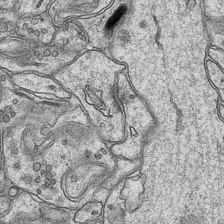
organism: Mouse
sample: CA1 Hippocampus